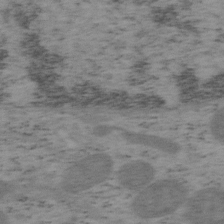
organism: Mouse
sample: OT-I killer T cells with ID8 ovarian cancer cells